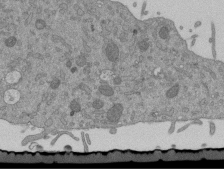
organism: Mouse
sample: ED-1 cell nuclei; centrioles